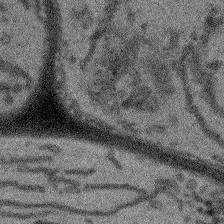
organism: Arabidopsis thaliana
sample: Root tip